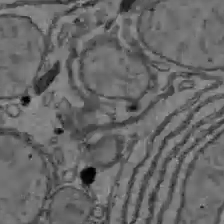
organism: C57BL Mouse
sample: Liver